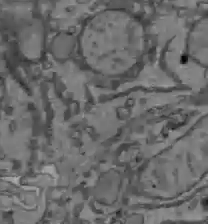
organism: C57BL Mouse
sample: Liver